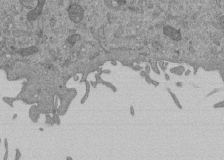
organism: Mouse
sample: ED-1 cell nuclei; centrioles